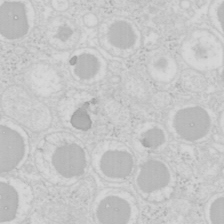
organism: Mouse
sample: Pancreas